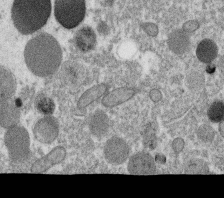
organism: C. elegans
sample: C. elegans oocyte; sperm cells